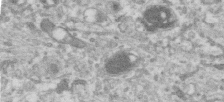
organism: Human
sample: Centriole in RPE cells